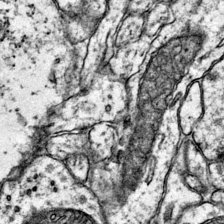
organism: Mouse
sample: Primary visual cortex